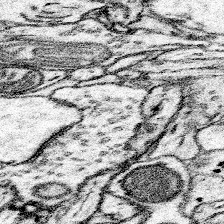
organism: Mouse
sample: Somatosensory cortex neuropil